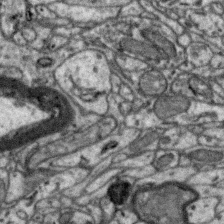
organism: Zebra finch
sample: Brain